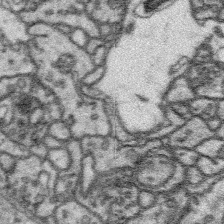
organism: Platynereis dumerilii